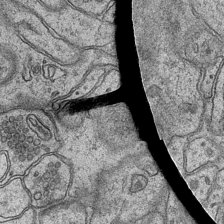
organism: Mouse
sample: CA1 Hippocampus